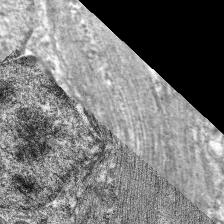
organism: C. elegans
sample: Pharynx